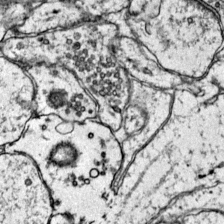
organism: Mouse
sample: Primary visual cortex